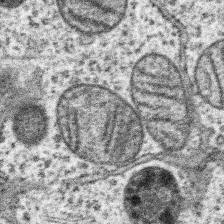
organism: Human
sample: HeLa cells